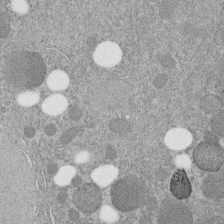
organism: C. elegans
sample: C. elegans embryo early stage